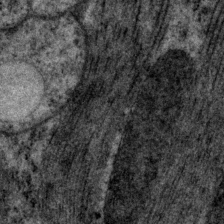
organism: P. pacificus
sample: Pharynx